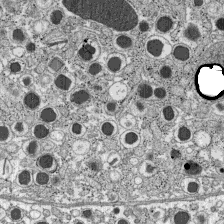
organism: C57BL Mouse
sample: Pancreatic islet